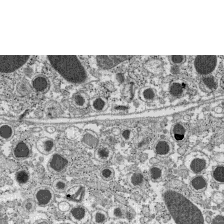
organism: C57BL Mouse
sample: Pancreatic islet